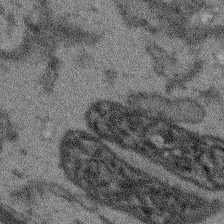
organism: Arabidopsis thaliana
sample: Root tip